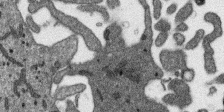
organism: Human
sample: Lung epithelial cells infected with SARS-CoV-2